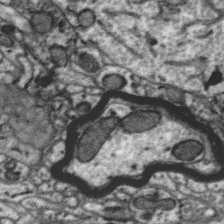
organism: Zebra finch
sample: Brain